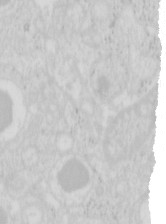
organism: Mouse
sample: Pancreas